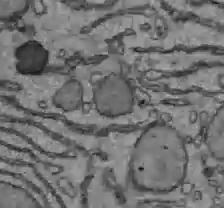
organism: C57BL Mouse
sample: Liver